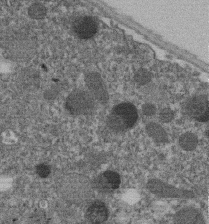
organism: C. elegans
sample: C. elegans embryo early stage